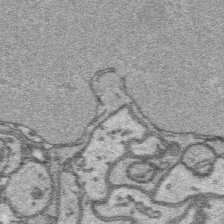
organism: Platynereis dumerilii